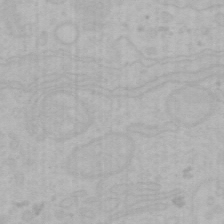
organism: Mouse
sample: Choroid plexus